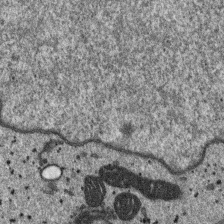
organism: Human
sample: Lung epithelial cells infected with SARS-CoV-2